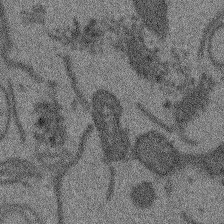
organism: Arabidopsis thaliana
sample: Root tip